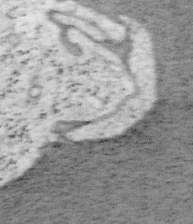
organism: Mouse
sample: OT-I killer T cells with ID8 ovarian cancer cells